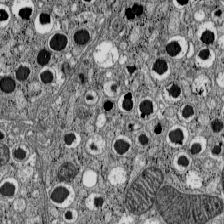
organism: C57BL Mouse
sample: Pancreatic islet